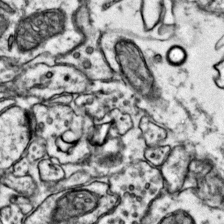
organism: Mouse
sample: Primary visual cortex